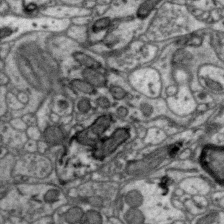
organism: Zebra finch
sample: Brain